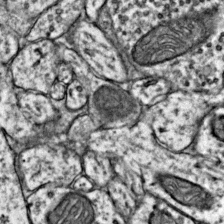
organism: Mouse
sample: Primary visual cortex